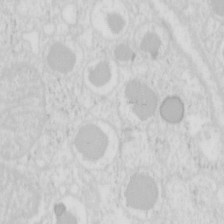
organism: Mouse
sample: Pancreas